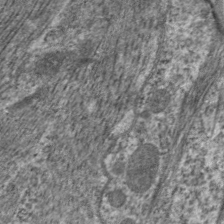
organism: C. elegans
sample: Pharynx